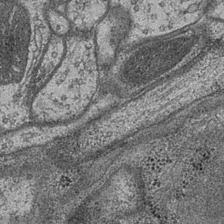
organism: Drosophila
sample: Optic medulla